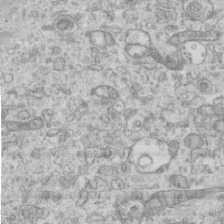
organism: Mouse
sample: Centriole in ependymal cells